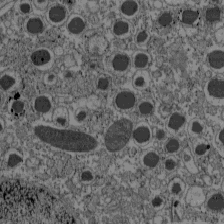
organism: C57BL Mouse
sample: Pancreatic islet